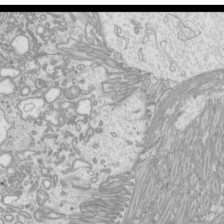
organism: Mouse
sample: Cilia; mouse epididymis